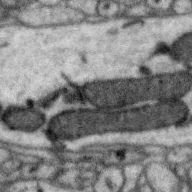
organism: Zebra finch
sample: Brain